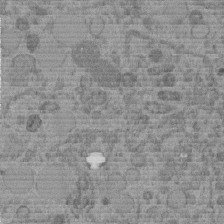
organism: C. elegans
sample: C. elegans embryo early stage